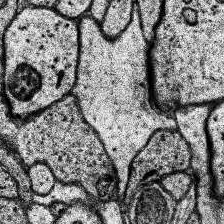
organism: Human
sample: Temporal Lobe